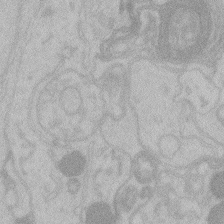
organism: Zebrafish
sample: Macrophage infected with Toxoplasma gondii